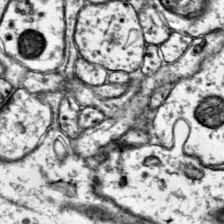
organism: Mouse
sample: Primary visual cortex